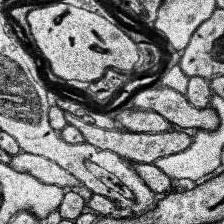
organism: Human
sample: Temporal Lobe